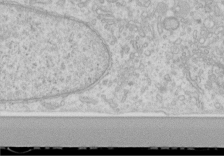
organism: Human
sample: Centriole in RPE cells